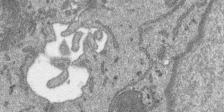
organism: Human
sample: Lung epithelial cells infected with SARS-CoV-2